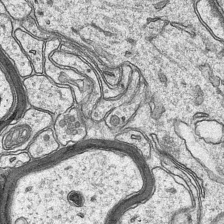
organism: Mouse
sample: CA1 Hippocampus